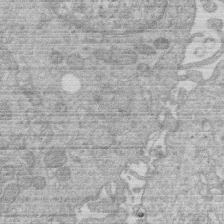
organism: Human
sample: Macrophage cells